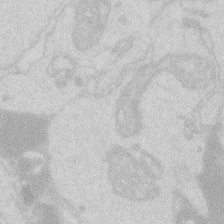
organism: Zebrafish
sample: Macrophage